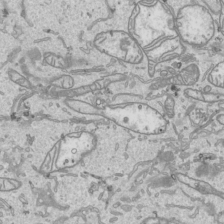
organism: Human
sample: Mitochondria in HCT116 cells